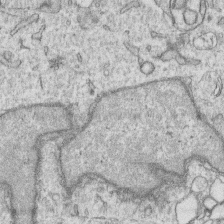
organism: Human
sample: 1205lu cells